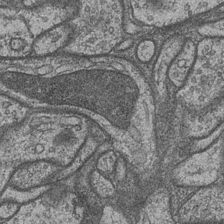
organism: Drosophila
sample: Optic medulla